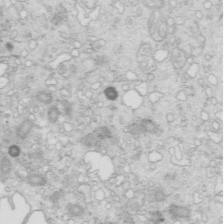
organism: Mouse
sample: Multiciliated cells